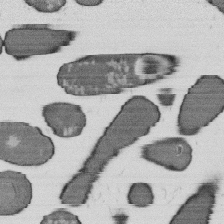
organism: B. subtilis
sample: Bacterial spore